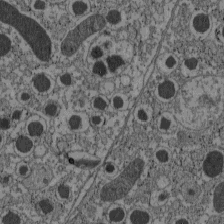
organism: C57BL Mouse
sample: Pancreatic islet